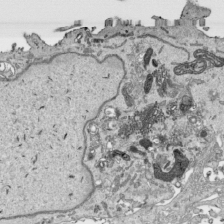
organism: Human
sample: Mitochondria in HCT116 cells